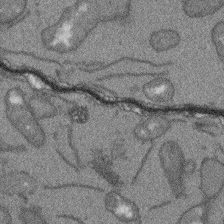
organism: Arabidopsis thaliana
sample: Root tip